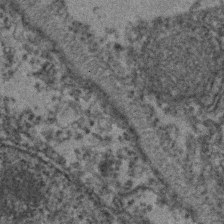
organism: Zebrafish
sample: Zebrafish embryo